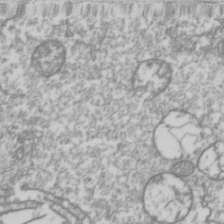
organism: Drosophila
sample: Cell division; meiosis; drosophila spermatocytes